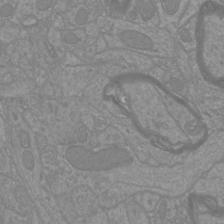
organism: Mouse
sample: Cortical neurons